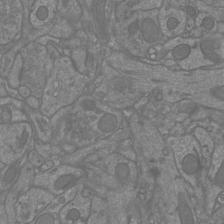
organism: Mouse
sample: Cortical neurons